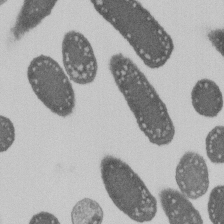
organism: E. coli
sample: Bacterial nucleoid